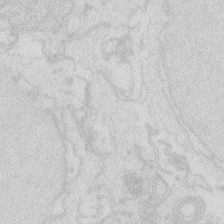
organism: Zebrafish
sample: Macrophage